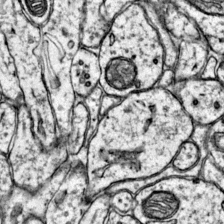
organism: Mouse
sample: Primary visual cortex